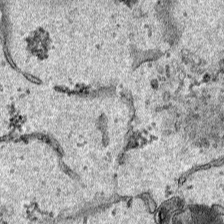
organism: Human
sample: Mitochondria in HCT116 cells